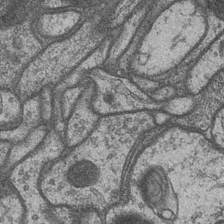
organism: Drosophila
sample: Optic medulla